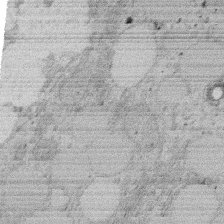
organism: Rat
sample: Salivary granule